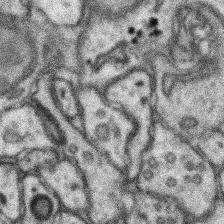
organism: Mouse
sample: Somatosensory cortex neuropil